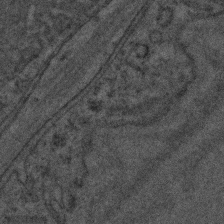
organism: C. elegans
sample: C. elegans embryo